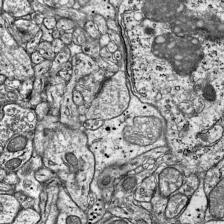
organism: Mouse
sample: Visual Cortex